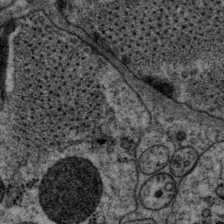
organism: P. pacificus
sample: Pharynx